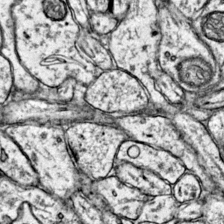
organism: Mouse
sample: Primary visual cortex